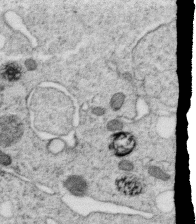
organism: C. elegans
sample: C. elegans oocyte; sperm cells